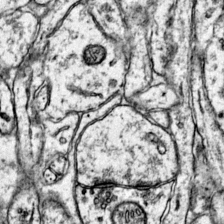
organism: Mouse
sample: Primary visual cortex